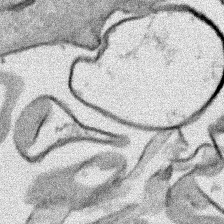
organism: Human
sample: Mitochondria in HCT116 cells